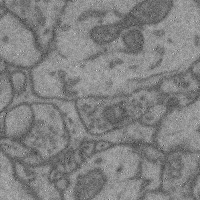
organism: Mouse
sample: Cerebral cortex